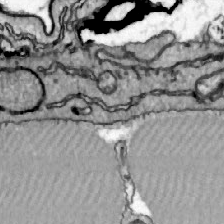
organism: Zebrafish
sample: Actinotrichia fibers